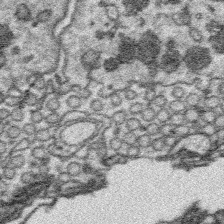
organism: Platynereis dumerilii